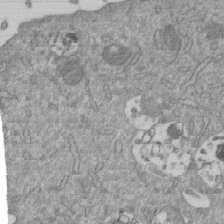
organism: Mouse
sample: ED-1 cell nuclei; centrioles